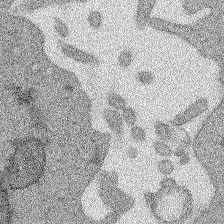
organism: Human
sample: HeLa cells